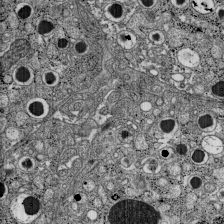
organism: C57BL Mouse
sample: Pancreatic islet